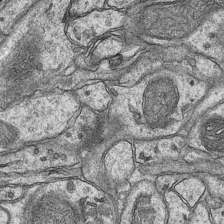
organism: Mouse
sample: CA1 Hippocampus